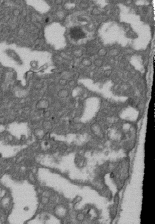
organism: Drosophila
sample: Nephrocyte